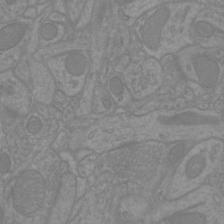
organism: Mouse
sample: Cortical neurons